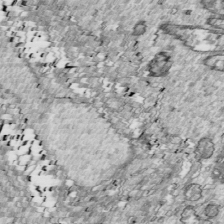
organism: Drosophila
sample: Cell division; meiosis; drosophila spermatocytes